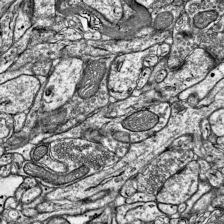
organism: Mouse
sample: Visual Cortex